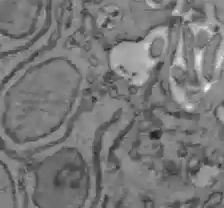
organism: C57BL Mouse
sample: Liver